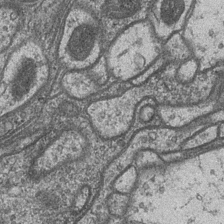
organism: Drosophila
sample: Optic medulla